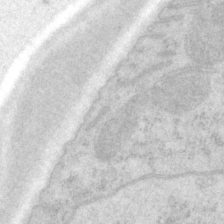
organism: P. pacificus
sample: Pharynx